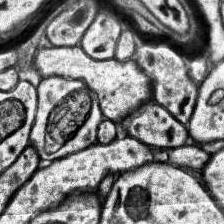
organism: Human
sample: Temporal Lobe